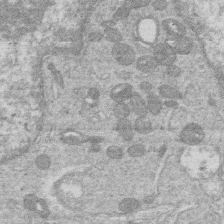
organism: Human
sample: Macrophage cells